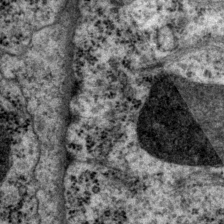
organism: P. pacificus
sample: Pharynx